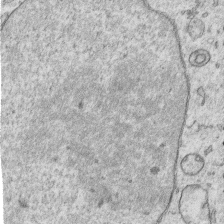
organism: Human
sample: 1205lu cells